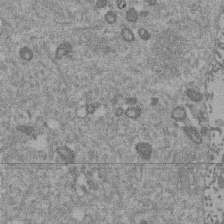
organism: Mouse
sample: Dividing mouse embryo 1 cell stage